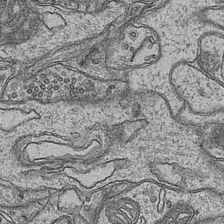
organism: Mouse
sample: CA1 Hippocampus